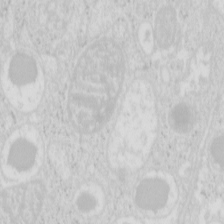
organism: Mouse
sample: Pancreas